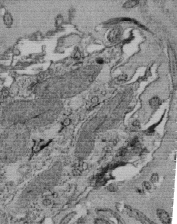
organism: Tetrahymena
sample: Cilia in tetrahymena